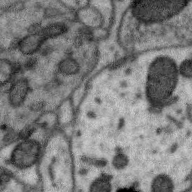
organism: Zebra finch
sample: Brain